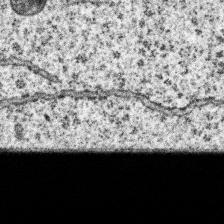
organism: Human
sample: HeLa cells